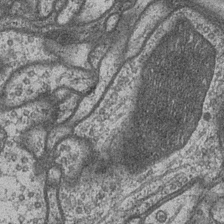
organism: Drosophila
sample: Optic medulla